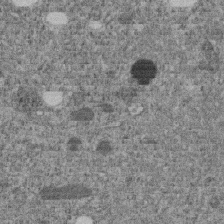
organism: C. elegans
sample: C. elegans embryo early stage